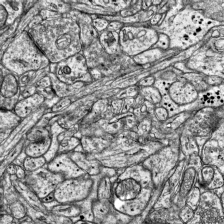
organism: Mouse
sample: Visual Cortex